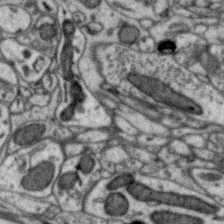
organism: Zebra finch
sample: Brain